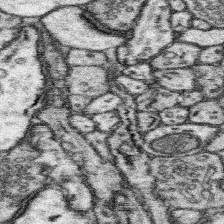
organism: Mouse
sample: Somatosensory cortex neuropil